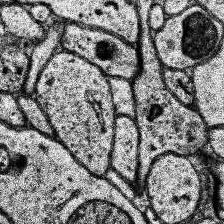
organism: Human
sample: Temporal Lobe